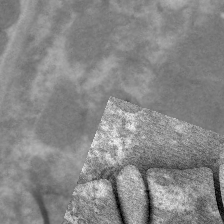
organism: C. elegans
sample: Pharynx